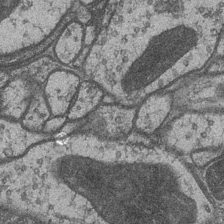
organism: Drosophila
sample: Optic medulla